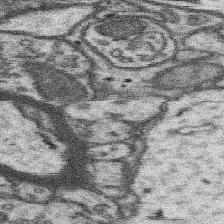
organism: Mouse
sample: Somatosensory cortex neuropil